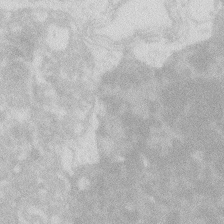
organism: Zebrafish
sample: Macrophage